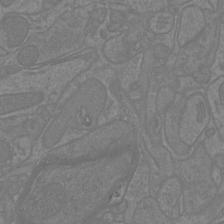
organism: Mouse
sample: Cortical neurons